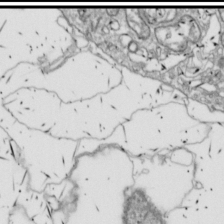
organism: Drosophila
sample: Cell division; meiosis; drosophila spermatocytes